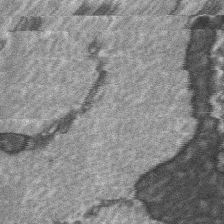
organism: C57BL Mouse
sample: Soleus